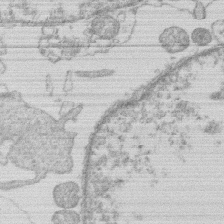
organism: Human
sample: Macrophage cells